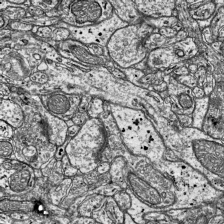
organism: Mouse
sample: Visual Cortex